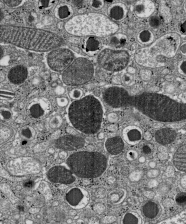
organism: C57BL Mouse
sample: Pancreatic islet